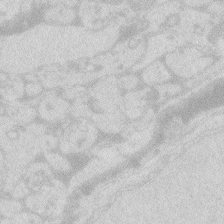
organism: Zebrafish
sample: Macrophage